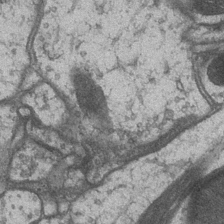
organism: Drosophila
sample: Optic medulla